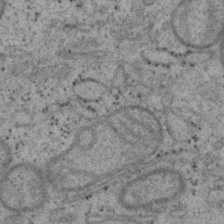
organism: Human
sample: HeLa cells